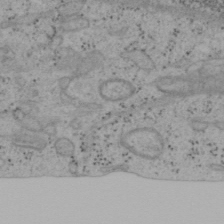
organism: Human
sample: HeLa cells